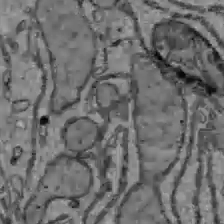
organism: C57BL Mouse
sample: Liver